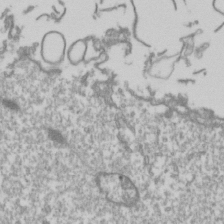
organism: Drosophila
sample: Cell division; meiosis; drosophila spermatocytes